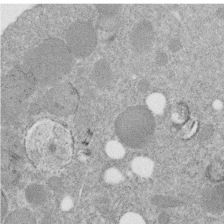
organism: C. elegans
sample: C. elegans embryo early stage